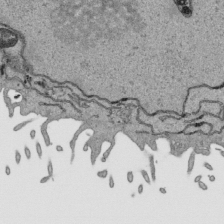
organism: Human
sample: Mitochondria in HCT116 cells